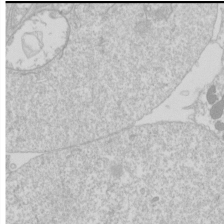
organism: Drosophila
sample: Cell division; meiosis; drosophila spermatocytes